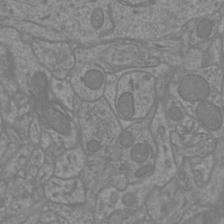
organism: Mouse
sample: Cortical neurons